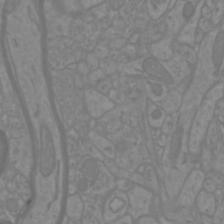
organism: Mouse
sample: Cortical neurons